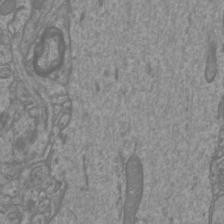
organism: Mouse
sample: Cortical neurons